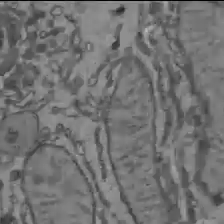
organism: C57BL Mouse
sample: Liver